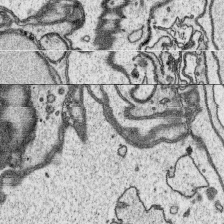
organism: Platynereis dumerilii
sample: Parapodia